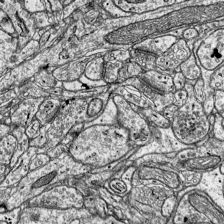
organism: Mouse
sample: Visual Cortex